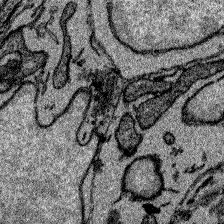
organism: Zebrafish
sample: Larval olfactory bulb